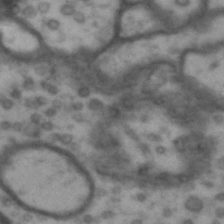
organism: Drosophila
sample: Brain